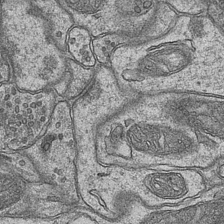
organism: Mouse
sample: CA1 Hippocampus